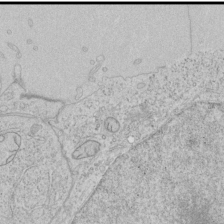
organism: Human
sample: Mitochondria in HCT116 cells